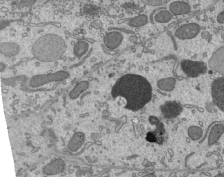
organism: Mouse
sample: Mouse epididymis efferent ductule cilia